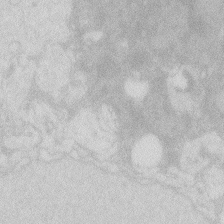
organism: Zebrafish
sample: Macrophage